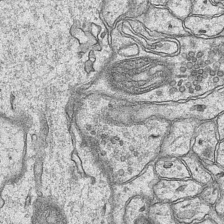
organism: Mouse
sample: CA1 Hippocampus